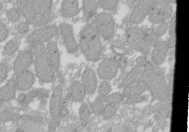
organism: Xenopus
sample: Cilia; centrioles in frog embryo cells